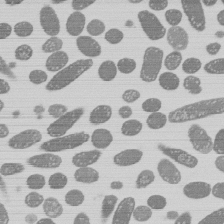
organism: E. coli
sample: Bacterial nucleoid